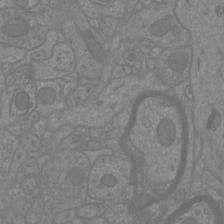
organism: Mouse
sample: Cortical neurons